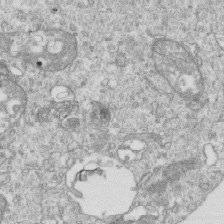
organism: Mouse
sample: Activated OT-1 CD8+ T cells